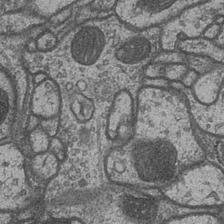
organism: Drosophila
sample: Optic medulla